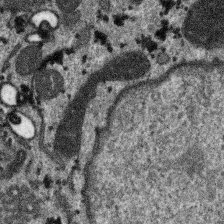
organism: Human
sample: Lung epithelial cells infected with SARS-CoV-2